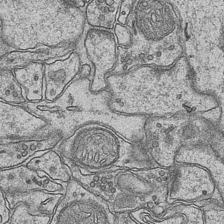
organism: Mouse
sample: CA1 Hippocampus